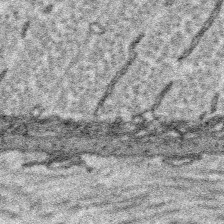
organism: Platynereis dumerilii